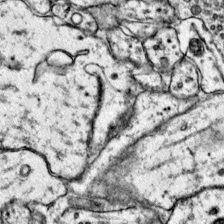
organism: Mouse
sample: Primary visual cortex